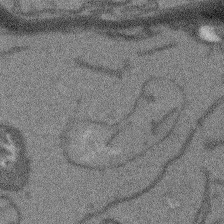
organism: Arabidopsis thaliana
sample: Root tip